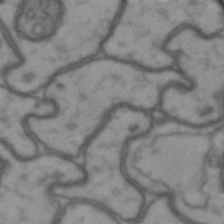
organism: Drosophila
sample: Brain